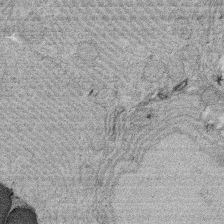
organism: Rat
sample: Salivary granule